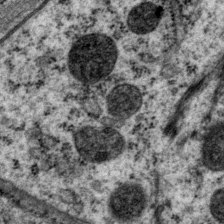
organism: P. pacificus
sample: Pharynx